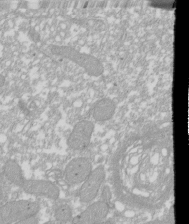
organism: Xenopus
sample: Cilia; centrioles in frog embryo cells